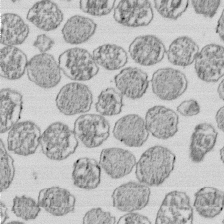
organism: E. coli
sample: Bacterial nucleoid